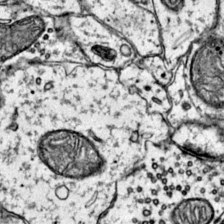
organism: Mouse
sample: Primary visual cortex